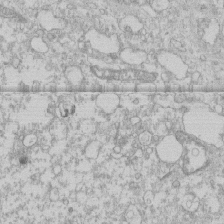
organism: Human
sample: CRL-1474